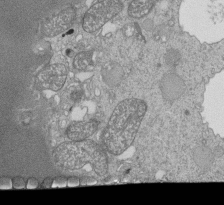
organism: Tetrahymena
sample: Cilia in tetrahymena